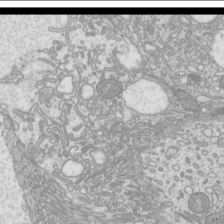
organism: Mouse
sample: Cilia; mouse epididymis